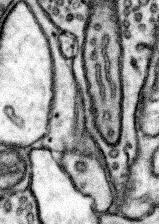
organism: Mouse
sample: Somatosensory cortex neuropil